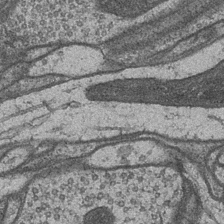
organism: Drosophila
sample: Optic medulla